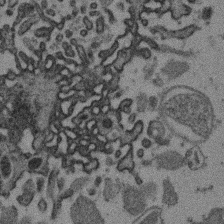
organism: Mouse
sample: Dividing mouse embryo 1 cell stage